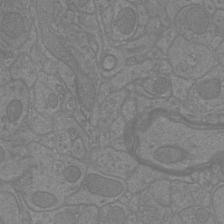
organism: Mouse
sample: Cortical neurons